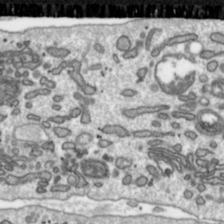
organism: Toxoplasma gondii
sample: Parasites in a vacuole inside a host cell